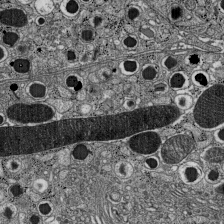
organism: C57BL Mouse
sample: Pancreatic islet